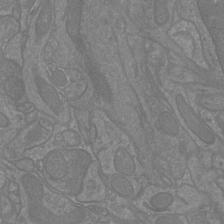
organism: Mouse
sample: Cortical neurons